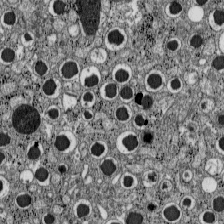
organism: C57BL Mouse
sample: Pancreatic islet